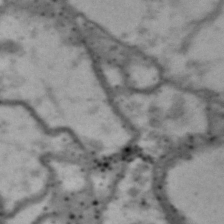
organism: Drosophila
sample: Brain